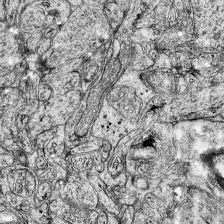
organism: Mouse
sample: Visual Cortex